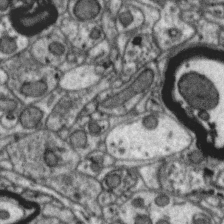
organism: Zebra finch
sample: Brain